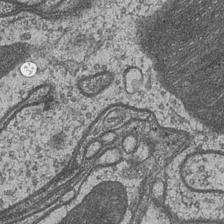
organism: Drosophila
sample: Optic medulla